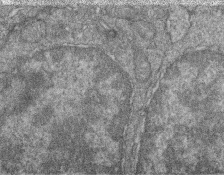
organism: Zebrafish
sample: Cilia; retinal pigment epithelium